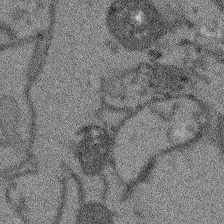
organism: Arabidopsis thaliana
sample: Root tip